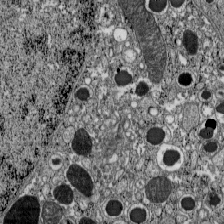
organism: C57BL Mouse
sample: Pancreatic islet